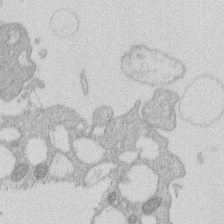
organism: Human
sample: Macrophage cells